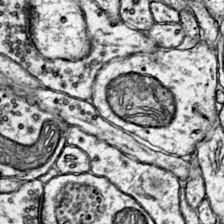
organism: Mouse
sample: Primary visual cortex